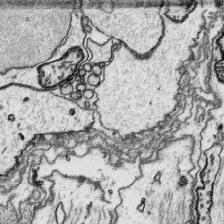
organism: Platynereis dumerilii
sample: Parapodia